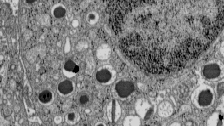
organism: C57BL Mouse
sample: Pancreatic islet